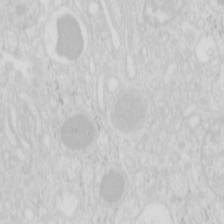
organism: Mouse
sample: Pancreas